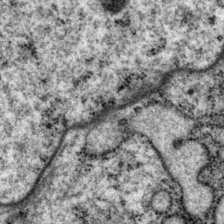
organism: P. pacificus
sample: Pharynx